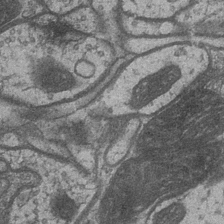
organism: Drosophila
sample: Optic medulla